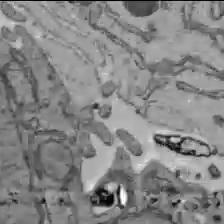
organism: C57BL Mouse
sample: Liver